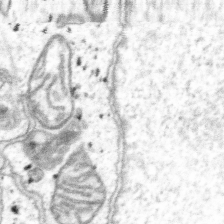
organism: Human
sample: HeLa cells